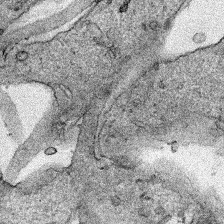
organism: Human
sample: Mitochondria in HCT116 cells